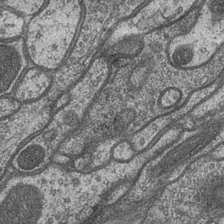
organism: Drosophila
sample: Optic medulla